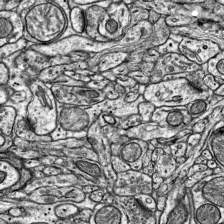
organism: Mouse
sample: Visual Cortex